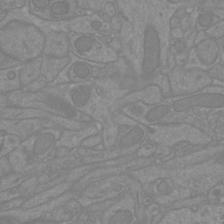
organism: Mouse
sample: Cortical neurons